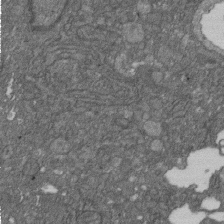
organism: Drosophila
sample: Nephrocyte